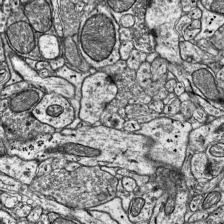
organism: Mouse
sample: Visual Cortex